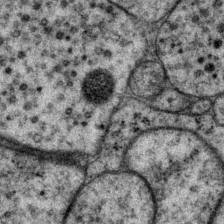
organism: P. pacificus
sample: Pharynx